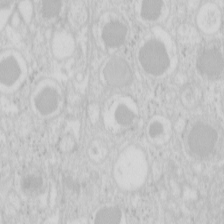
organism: Mouse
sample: Pancreas